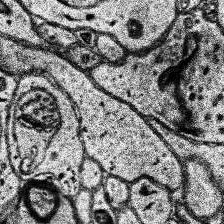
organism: Human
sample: Temporal Lobe